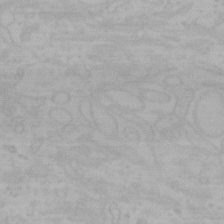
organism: Mouse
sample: Choroid plexus